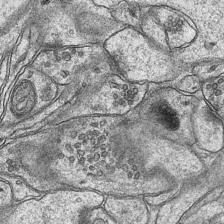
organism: Mouse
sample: CA1 Hippocampus